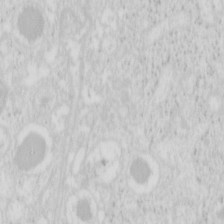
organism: Mouse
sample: Pancreas